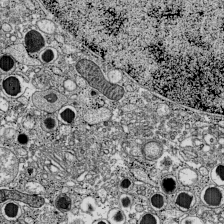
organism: C57BL Mouse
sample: Pancreatic islet